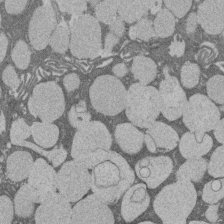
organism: Rat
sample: Salivary granule